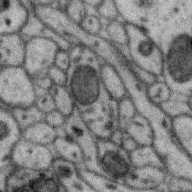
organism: Zebra finch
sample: Brain